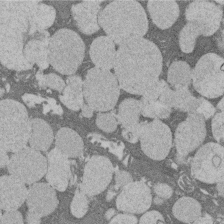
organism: Rat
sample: Salivary granule